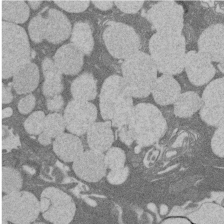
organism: Rat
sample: Salivary granule